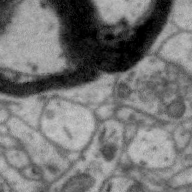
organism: Zebra finch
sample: Brain